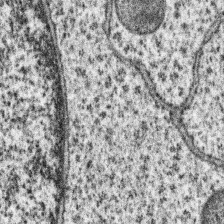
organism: Human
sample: HeLa cells